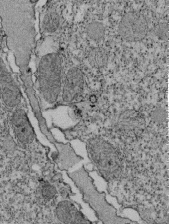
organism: Tetrahymena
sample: Cilia in tetrahymena